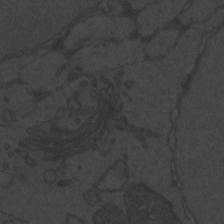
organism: Zebrafish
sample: Macrophage infected with Toxoplasma gondii